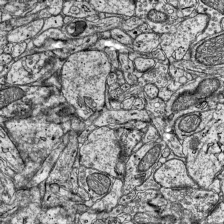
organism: Mouse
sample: Visual Cortex